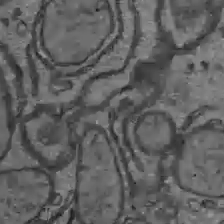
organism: C57BL Mouse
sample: Liver